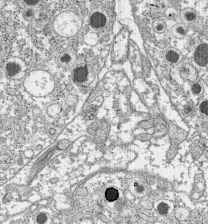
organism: C57BL Mouse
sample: Pancreatic islet